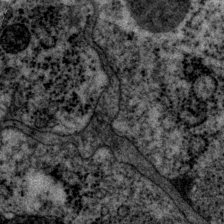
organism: P. pacificus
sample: Pharynx